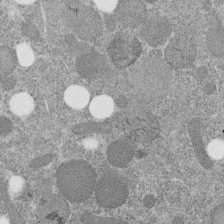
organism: C. elegans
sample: C. elegans embryo early stage